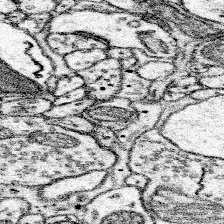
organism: Mouse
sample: Somatosensory cortex neuropil